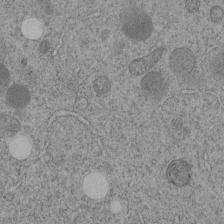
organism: C. elegans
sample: C. elegans embryo early stage